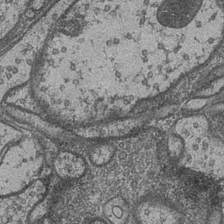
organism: Drosophila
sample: Optic medulla